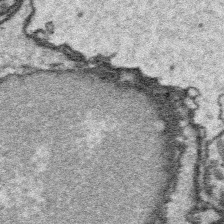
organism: Platynereis dumerilii